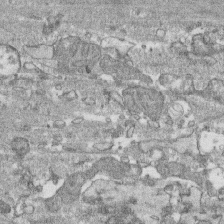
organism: Human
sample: CRL-1474